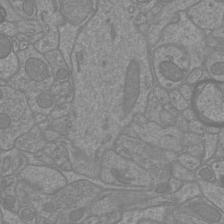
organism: Mouse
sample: Cortical neurons